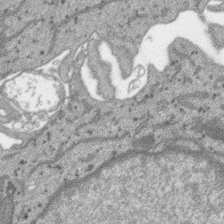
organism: Human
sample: Lung epithelial cells infected with SARS-CoV-2